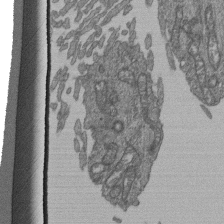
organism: Human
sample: Retinal organoid Rod and Cone cells